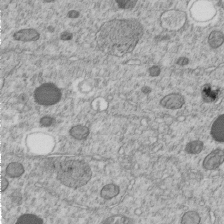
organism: C. elegans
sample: C. elegans embryo early stage